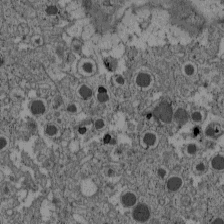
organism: C57BL Mouse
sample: Pancreatic islet